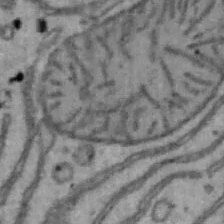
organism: Mouse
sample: Liver